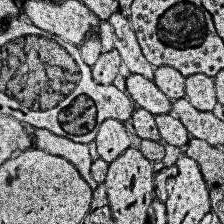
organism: Human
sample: Temporal Lobe